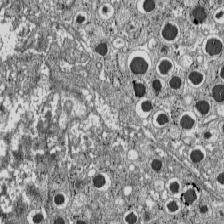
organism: C57BL Mouse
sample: Pancreatic islet